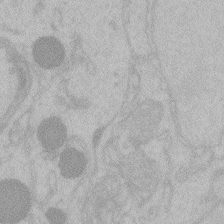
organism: Zebrafish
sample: Macrophage infected with Toxoplasma gondii